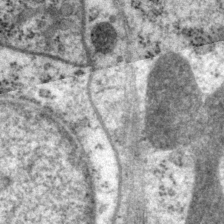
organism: P. pacificus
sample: Pharynx